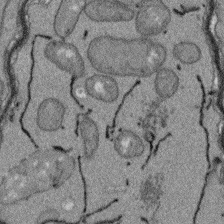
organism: Arabidopsis thaliana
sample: Root tip